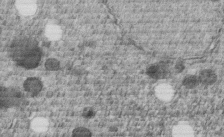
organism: C. elegans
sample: C. elegans embryo early stage